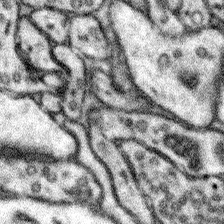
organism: Mouse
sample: Somatosensory cortex neuropil